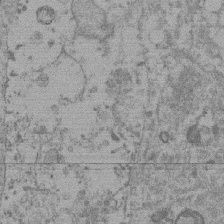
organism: Mouse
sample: Dividing mouse embryo 1 cell stage